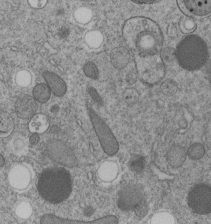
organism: C. elegans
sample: C. elegans embryo early stage